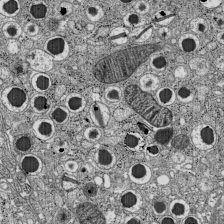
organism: C57BL Mouse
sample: Pancreatic islet